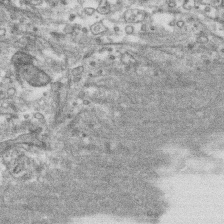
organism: Human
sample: CRL-1474